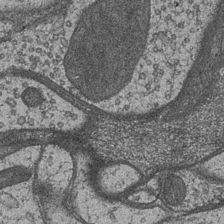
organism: Drosophila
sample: Optic medulla